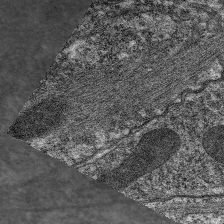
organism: C. elegans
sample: Pharynx